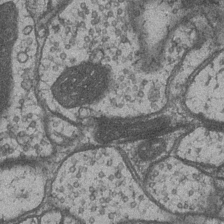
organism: Drosophila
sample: Optic medulla